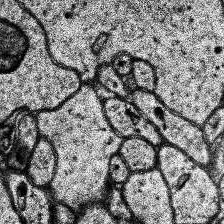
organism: Human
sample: Temporal Lobe